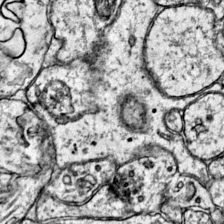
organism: Mouse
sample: Primary visual cortex